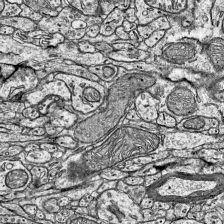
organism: Mouse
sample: Visual Cortex